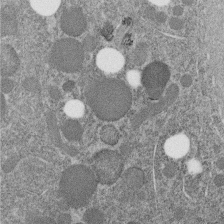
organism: C. elegans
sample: C. elegans embryo early stage